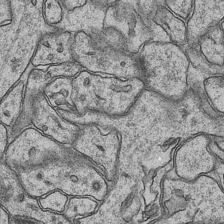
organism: Mouse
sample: CA1 Hippocampus